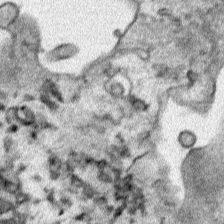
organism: Human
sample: Mitochondria in HCT116 cells